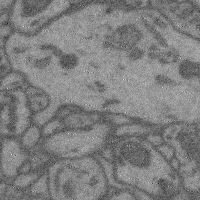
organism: Mouse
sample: Cerebral cortex